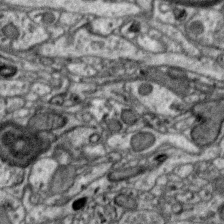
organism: Zebra finch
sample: Brain